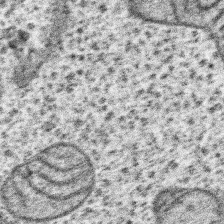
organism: Human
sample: HeLa cells